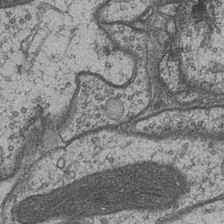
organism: Drosophila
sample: Optic medulla